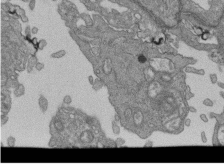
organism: Human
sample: Retinal organoid Rod and Cone cells